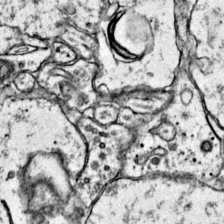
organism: Mouse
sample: Primary visual cortex